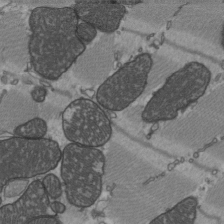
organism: C57BL Mouse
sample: Heart